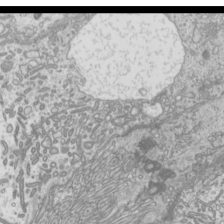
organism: Mouse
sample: Cilia; mouse epididymis